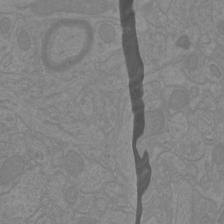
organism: Mouse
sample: Cortical neurons